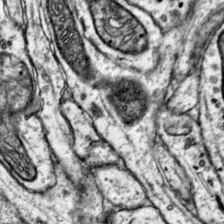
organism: Mouse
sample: Primary visual cortex